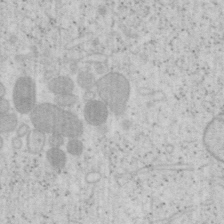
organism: Human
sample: HeLa cells